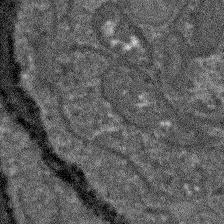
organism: Arabidopsis thaliana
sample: Root tip